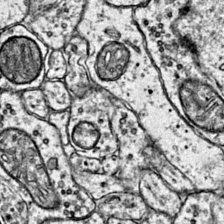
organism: Mouse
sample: Primary visual cortex